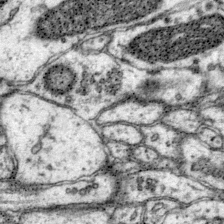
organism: Mouse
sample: Primary visual cortex